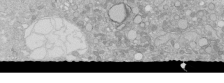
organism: Human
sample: Caco-2 cells